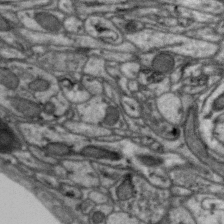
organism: Zebra finch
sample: Brain